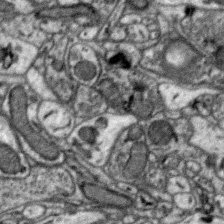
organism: Zebra finch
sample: Brain